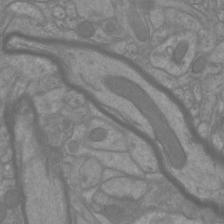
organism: Mouse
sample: Cortical neurons